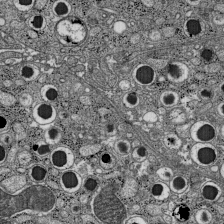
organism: C57BL Mouse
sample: Pancreatic islet